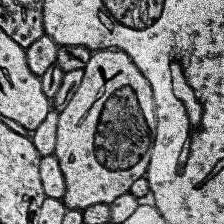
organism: Human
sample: Temporal Lobe